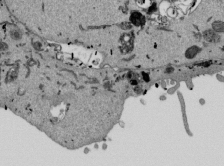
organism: Mouse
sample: ED-1 cell nuclei; centrioles